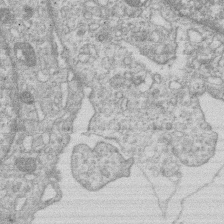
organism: Human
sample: Macrophage cells